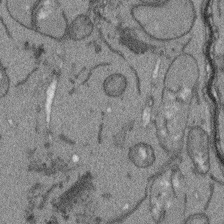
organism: Arabidopsis thaliana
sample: Root tip